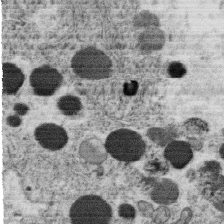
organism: C. elegans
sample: C. elegans oocyte; sperm cells